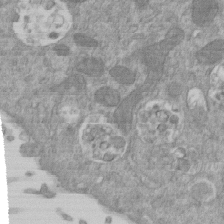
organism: Mouse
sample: ED-1 cell nuclei; centrioles